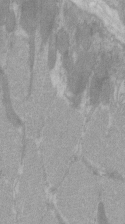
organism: C57BL Mouse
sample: Tibialis anterior muscle cell